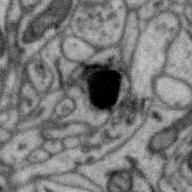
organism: Zebra finch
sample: Brain